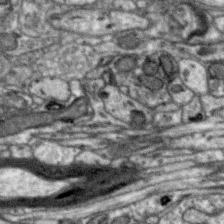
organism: Zebra finch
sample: Brain